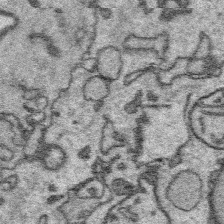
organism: Platynereis dumerilii